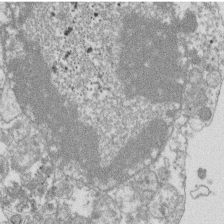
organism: Human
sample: HeLa cell HIV synapse